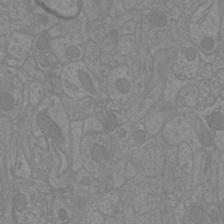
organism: Mouse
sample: Cortical neurons